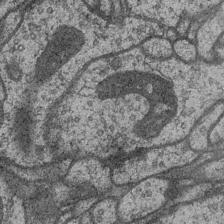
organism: Drosophila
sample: Optic medulla